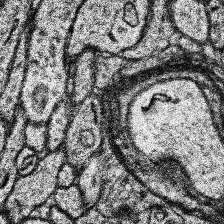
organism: Human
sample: Temporal Lobe